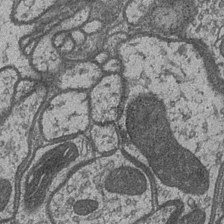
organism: Drosophila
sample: Optic medulla